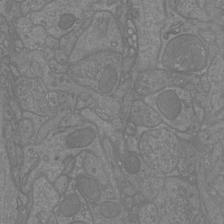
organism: Mouse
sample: Cortical neurons